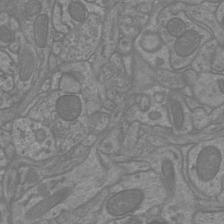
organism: Mouse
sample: Cortical neurons